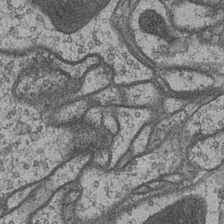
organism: Drosophila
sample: Optic medulla